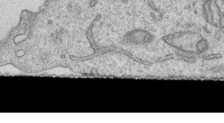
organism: Human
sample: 1205lu cells